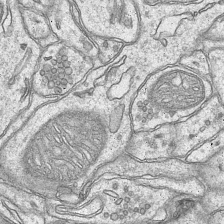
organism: Mouse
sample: CA1 Hippocampus